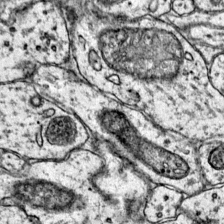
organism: Mouse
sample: Primary visual cortex